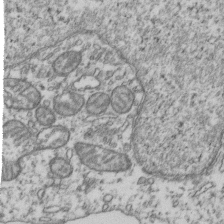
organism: Human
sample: Activated Jurkat CD4+ T cells